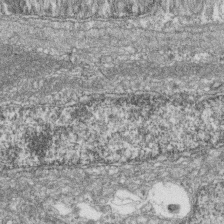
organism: Zebrafish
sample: Cilia; retinal pigment epithelium